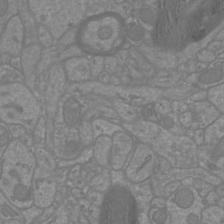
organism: Mouse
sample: Cortical neurons